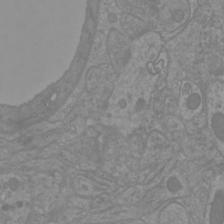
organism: Mouse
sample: Cortical neurons